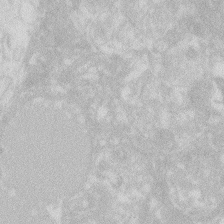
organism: Zebrafish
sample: Macrophage